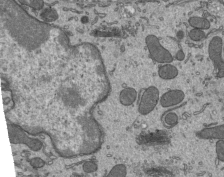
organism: Mouse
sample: Mouse epididymis efferent ductule cilia